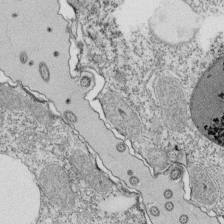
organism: Tetrahymena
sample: Cilia in tetrahymena